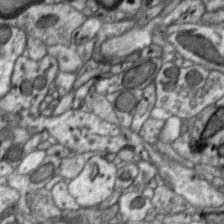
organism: Zebra finch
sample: Brain